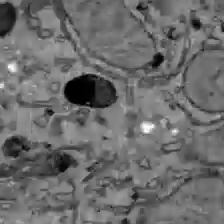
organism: C57BL Mouse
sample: Liver